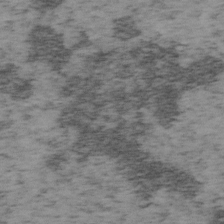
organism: Mouse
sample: OT-I killer T cells with ID8 ovarian cancer cells